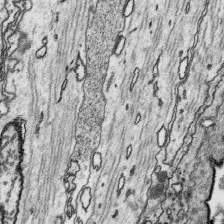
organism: Platynereis dumerilii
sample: Parapodia